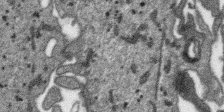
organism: Human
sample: Lung epithelial cells infected with SARS-CoV-2